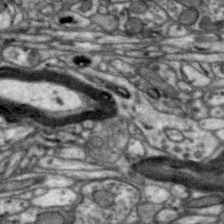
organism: Zebra finch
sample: Brain